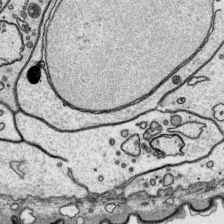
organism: Platynereis dumerilii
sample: Parapodia